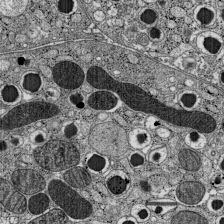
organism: C57BL Mouse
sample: Pancreatic islet